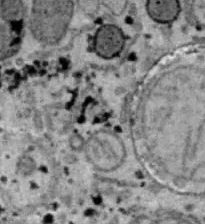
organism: Mouse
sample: Liver from an obese (ob/ob) mouse